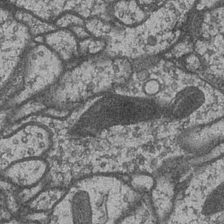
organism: Drosophila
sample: Optic medulla